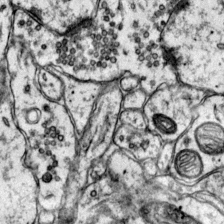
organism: Mouse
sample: Primary visual cortex